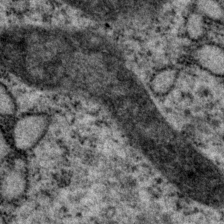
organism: P. pacificus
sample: Pharynx